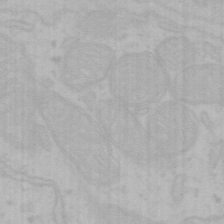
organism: Mouse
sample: Choroid plexus